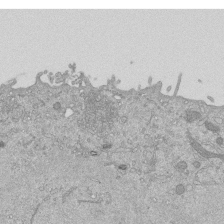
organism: Mouse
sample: ED-1 cell nuclei; centrioles